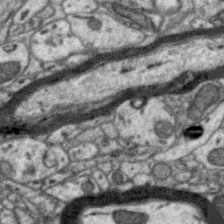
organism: Zebra finch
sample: Brain